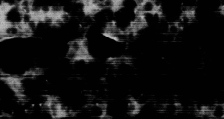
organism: Human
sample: HIV infected U937 cells